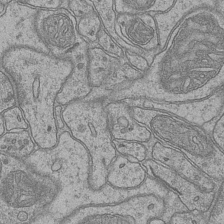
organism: Mouse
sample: CA1 Hippocampus